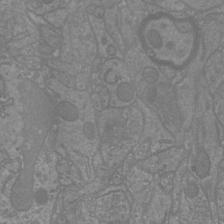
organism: Mouse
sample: Cortical neurons